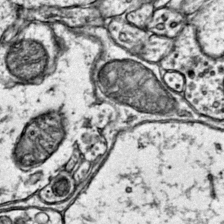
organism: Mouse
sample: Primary visual cortex